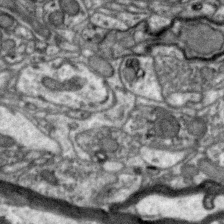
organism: Zebra finch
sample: Brain